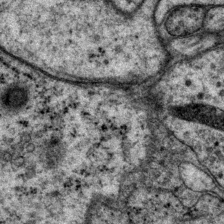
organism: P. pacificus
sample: Pharynx